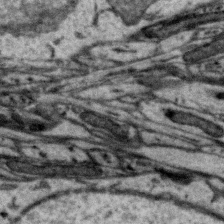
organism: Zebra finch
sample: Brain